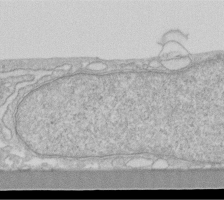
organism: Human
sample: Fibroblast cells